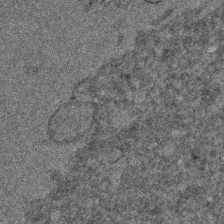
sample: Trachea